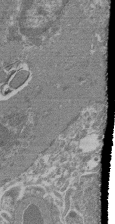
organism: Mouse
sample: Glomerulus